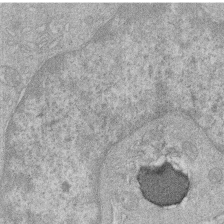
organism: Human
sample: Macrophage cells